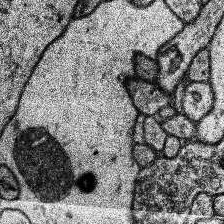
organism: Human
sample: Temporal Lobe